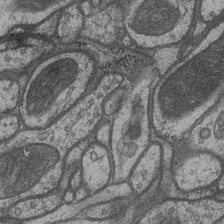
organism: Drosophila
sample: Optic medulla